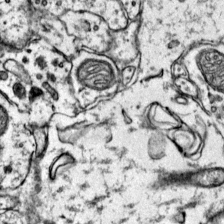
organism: Mouse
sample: Primary visual cortex